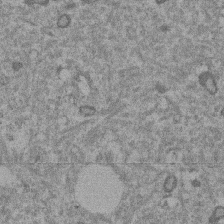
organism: Mouse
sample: Dividing mouse embryo 1 cell stage